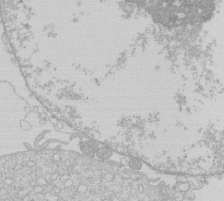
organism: Human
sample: Macrophage cells